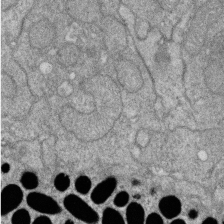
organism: Zebrafish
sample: Cilia; retinal pigment epithelium